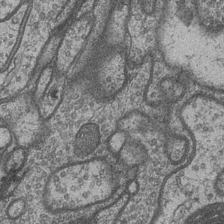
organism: Drosophila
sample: Optic medulla